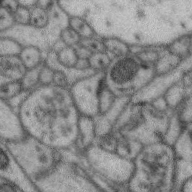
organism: Zebra finch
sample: Brain